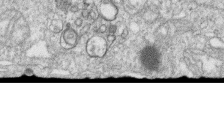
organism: Human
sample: HeLa cell HIV synapse